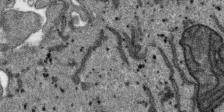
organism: Human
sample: Lung epithelial cells, uninfected (mock) control